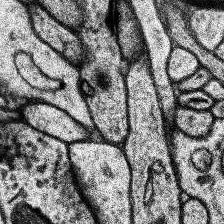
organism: Human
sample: Temporal Lobe